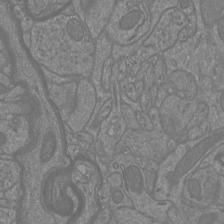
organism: Mouse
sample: Cortical neurons